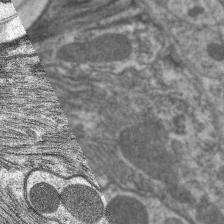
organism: C. elegans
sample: Pharynx